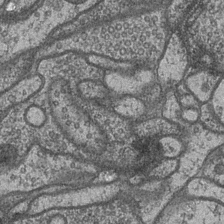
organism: Drosophila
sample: Optic medulla